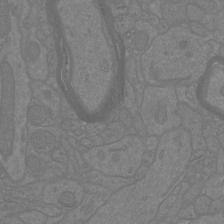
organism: Mouse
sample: Cortical neurons